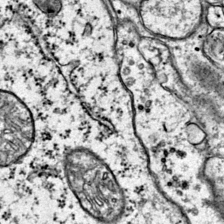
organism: Mouse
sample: Primary visual cortex